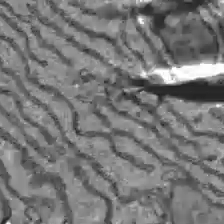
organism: C57BL Mouse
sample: Liver